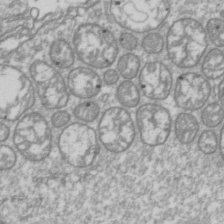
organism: Drosophila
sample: Cell division; meiosis; drosophila spermatocytes